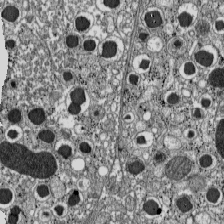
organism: C57BL Mouse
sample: Pancreatic islet